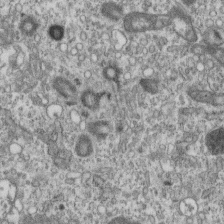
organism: Mouse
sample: Centriole in ependymal cells